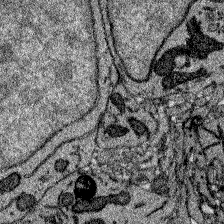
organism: Zebrafish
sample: Larval olfactory bulb